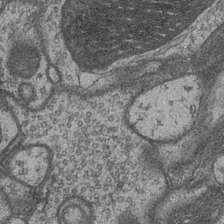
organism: Drosophila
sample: Optic medulla